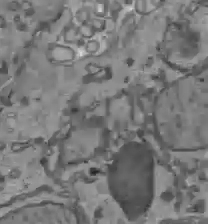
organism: C57BL Mouse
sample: Liver